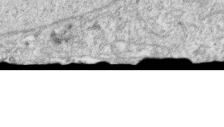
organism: Human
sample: HeLa cell HIV synapse